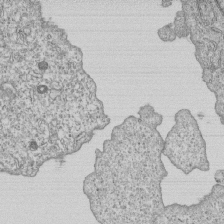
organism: Human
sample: MDA-MB-231 cells